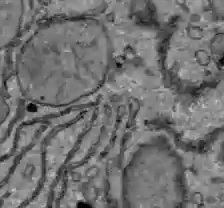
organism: C57BL Mouse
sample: Liver